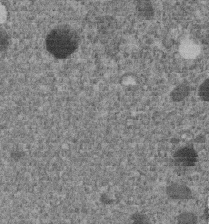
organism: C. elegans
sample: C. elegans embryo early stage